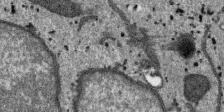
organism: Human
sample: Lung epithelial cells, uninfected (mock) control